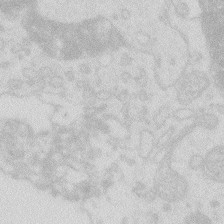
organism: Zebrafish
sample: Macrophage